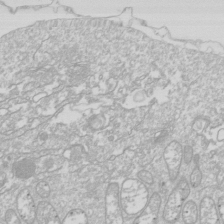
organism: Drosophila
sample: Cell division; meiosis; drosophila spermatocytes